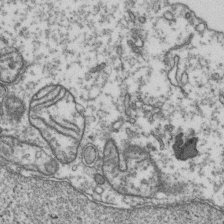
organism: Human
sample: Activated Jurkat CD4+ T cells